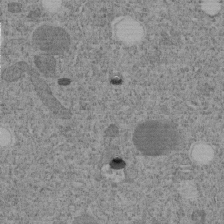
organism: C. elegans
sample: C. elegans embryo early stage